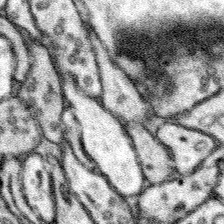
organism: Mouse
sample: Somatosensory cortex neuropil